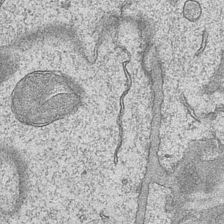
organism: Mouse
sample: CA1 Hippocampus